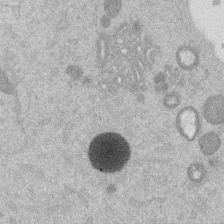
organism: Mouse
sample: Dividing mouse embryo 1 cell stage